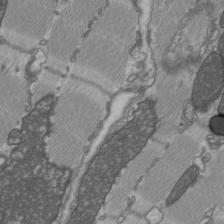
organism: C57BL Mouse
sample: Heart